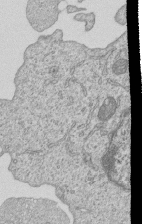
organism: Human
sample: MDA-MB-231 cells